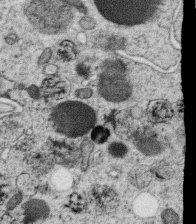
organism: C. elegans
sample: C. elegans oocyte; sperm cells